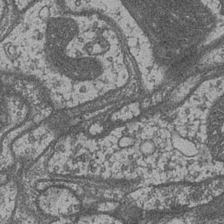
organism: Drosophila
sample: Optic medulla